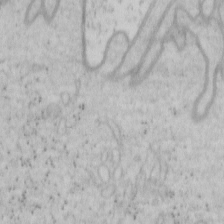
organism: Human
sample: HeLa cells